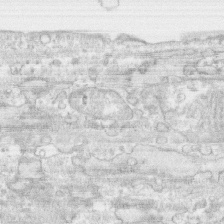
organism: Human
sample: CRL-1474